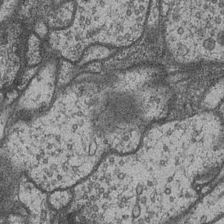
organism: Drosophila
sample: Optic medulla